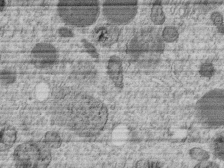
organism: C. elegans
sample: C. elegans embryo early stage